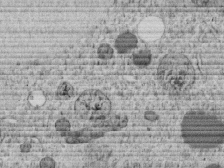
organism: C. elegans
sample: C. elegans embryo early stage